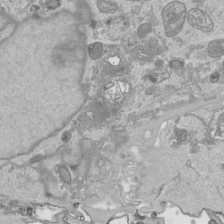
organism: Human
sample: Mitochondria in HCT116 cells